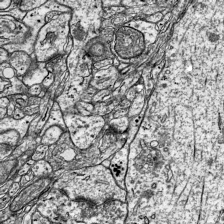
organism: Mouse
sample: Visual Cortex